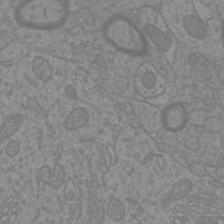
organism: Mouse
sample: Cortical neurons